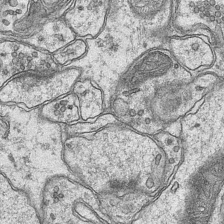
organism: Mouse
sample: CA1 Hippocampus